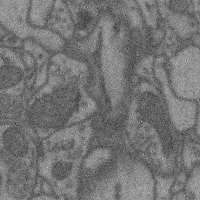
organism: Mouse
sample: Cerebral cortex